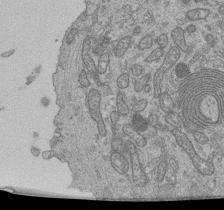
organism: Human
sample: Retinal organoid Rod and Cone cells